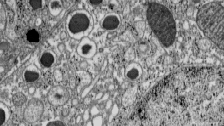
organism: C57BL Mouse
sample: Pancreatic islet